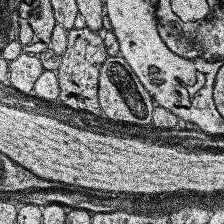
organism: Human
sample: Temporal Lobe